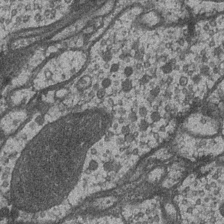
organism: Drosophila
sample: Optic medulla